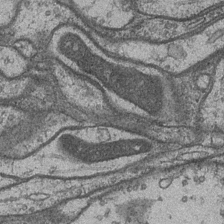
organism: Drosophila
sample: Optic medulla